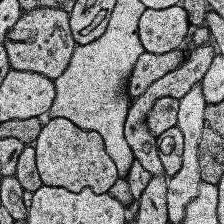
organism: Human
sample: Temporal Lobe